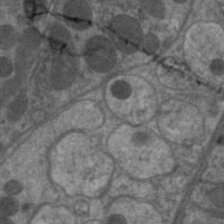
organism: C. elegans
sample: Pharynx